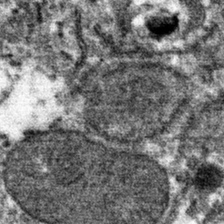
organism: Mouse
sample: Mouse hepatocytes